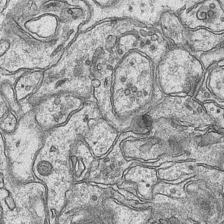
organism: Mouse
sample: CA1 Hippocampus